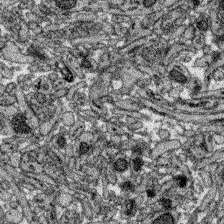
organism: Zebrafish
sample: Larval olfactory bulb